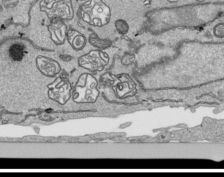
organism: Human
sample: Mitochondria in HCT116 cells